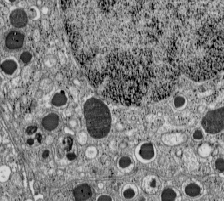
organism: C57BL Mouse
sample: Pancreatic islet